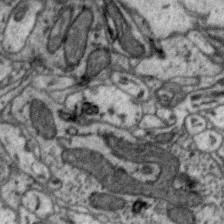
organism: Zebra finch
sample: Brain